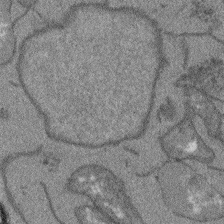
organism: Arabidopsis thaliana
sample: Root tip